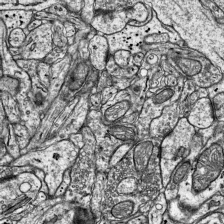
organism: Mouse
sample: Visual Cortex